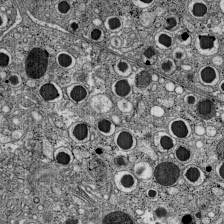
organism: C57BL Mouse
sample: Pancreatic islet